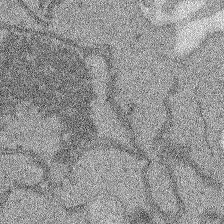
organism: Human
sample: HeLa cells